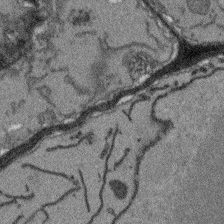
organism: Arabidopsis thaliana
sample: Root tip